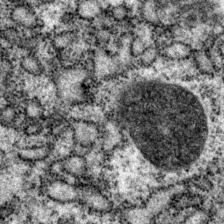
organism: P. pacificus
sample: Pharynx